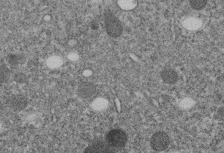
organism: C. elegans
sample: C. elegans embryo early stage